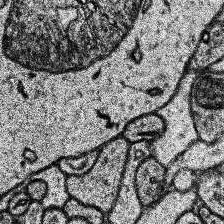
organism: Human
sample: Temporal Lobe